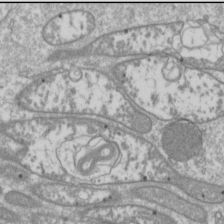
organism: Drosophila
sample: Cell division; meiosis; drosophila spermatocytes